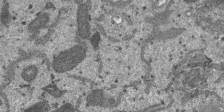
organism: Human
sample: Lung epithelial cells infected with SARS-CoV-2